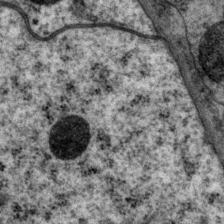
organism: P. pacificus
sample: Pharynx